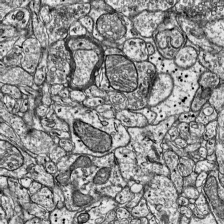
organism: Mouse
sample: Visual Cortex